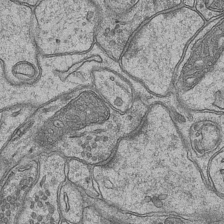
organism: Mouse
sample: CA1 Hippocampus